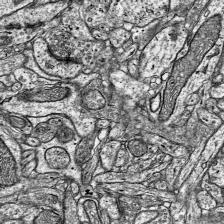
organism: Mouse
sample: Visual Cortex